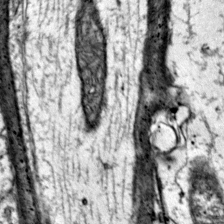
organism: Mouse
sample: Primary visual cortex